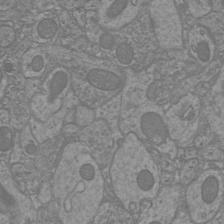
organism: Mouse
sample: Cortical neurons